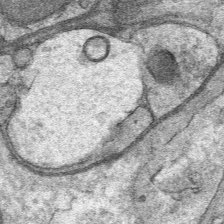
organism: Mouse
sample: Mouse Salivary gland